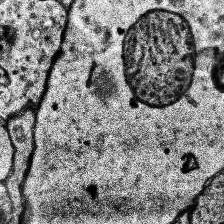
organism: Human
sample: Temporal Lobe